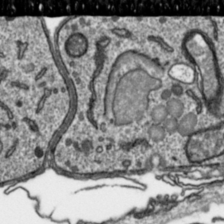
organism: Toxoplasma gondii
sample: Parasites in a vacuole inside a host cell